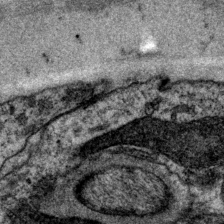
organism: P. pacificus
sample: Pharynx